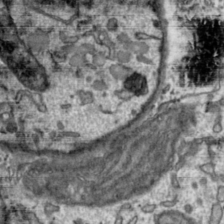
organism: Toxoplasma gondii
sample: Parasites in a vacuole inside a host cell